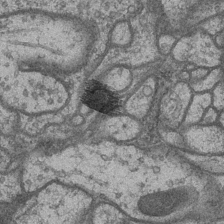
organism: Drosophila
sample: Optic medulla